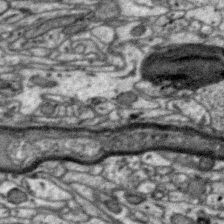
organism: Zebra finch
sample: Brain